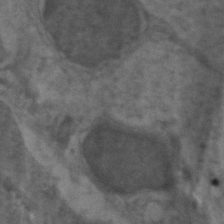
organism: Zebrafish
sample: Zebrafish embryo